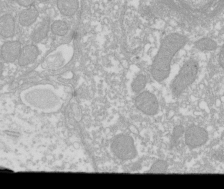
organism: Xenopus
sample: Cilia; centrioles in frog embryo cells